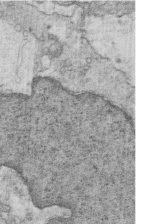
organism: Mouse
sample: Multiciliated cells